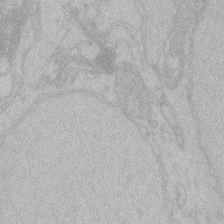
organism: Zebrafish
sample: Macrophage infected with Toxoplasma gondii